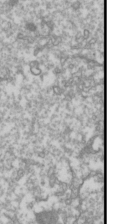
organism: Drosophila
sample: Cell division; meiosis; drosophila spermatocytes